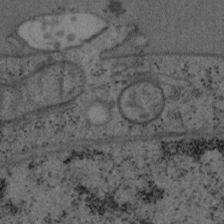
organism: Human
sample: HeLa cells